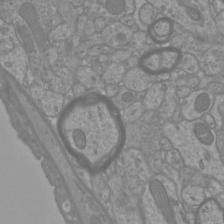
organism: Mouse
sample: Cortical neurons